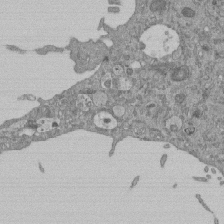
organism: Mouse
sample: ED-1 cell nuclei; centrioles